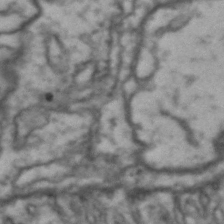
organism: Drosophila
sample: Brain